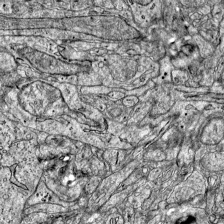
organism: Mouse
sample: Visual Cortex